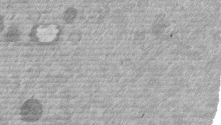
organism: Mouse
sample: Dividing mouse embryo 1 cell stage